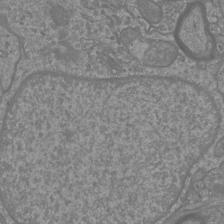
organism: Mouse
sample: Cortical neurons